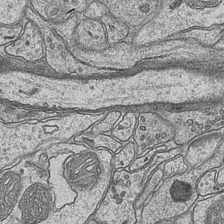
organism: Mouse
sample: CA1 Hippocampus